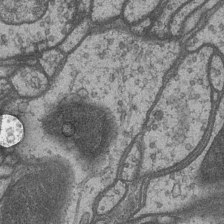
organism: Drosophila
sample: Optic medulla